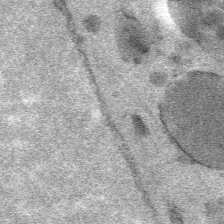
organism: Mouse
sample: Mouse Salivary gland